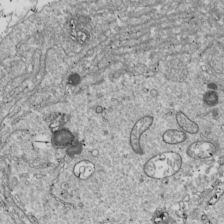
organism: Drosophila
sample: Cell division; meiosis; drosophila spermatocytes